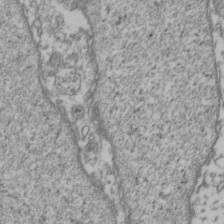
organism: Human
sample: Activated Jurkat CD4+ T cells